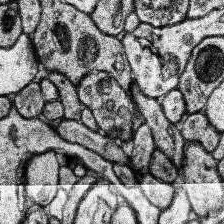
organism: Human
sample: Temporal Lobe